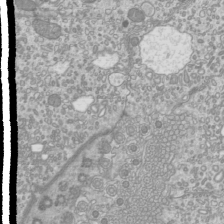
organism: Mouse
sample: Cilia; mouse epididymis